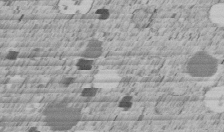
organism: C. elegans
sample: C. elegans embryo early stage